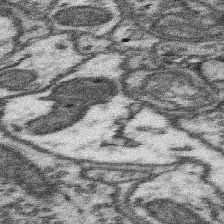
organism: Mouse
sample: Somatosensory cortex neuropil